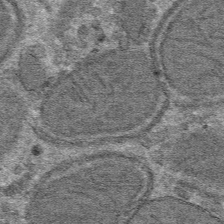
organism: Mouse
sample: Mouse hepatocytes